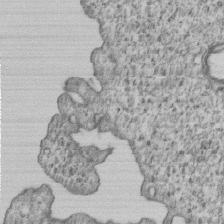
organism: Human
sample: MDA-MB-231 cells